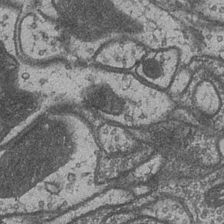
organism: Drosophila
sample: Optic medulla